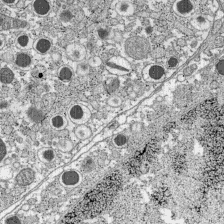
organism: C57BL Mouse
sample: Pancreatic islet